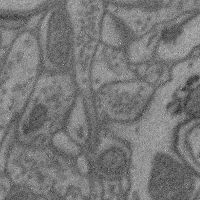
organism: Mouse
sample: Cerebral cortex